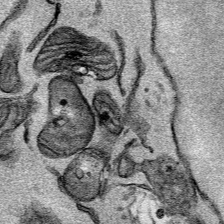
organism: Mouse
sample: Cancer cell death in ED-1 cells